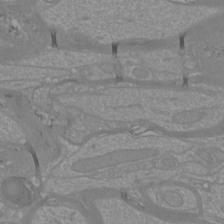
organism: Mouse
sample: Cortical neurons